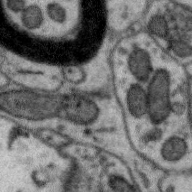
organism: Zebra finch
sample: Brain